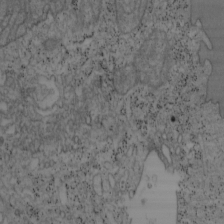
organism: Mouse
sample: OT-I killer T cells with ID8 ovarian cancer cells